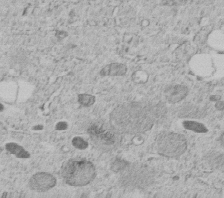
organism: C. elegans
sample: C. elegans embryo early stage